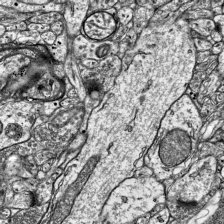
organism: Mouse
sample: Visual Cortex